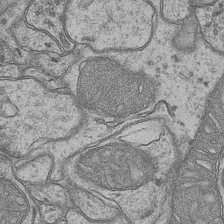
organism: Mouse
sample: CA1 Hippocampus